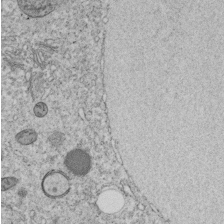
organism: C. elegans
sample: C. elegans embryo early stage